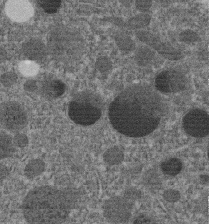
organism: C. elegans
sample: C. elegans embryo early stage